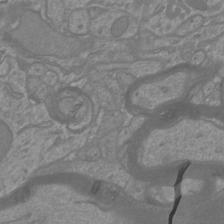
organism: Mouse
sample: Cortical neurons